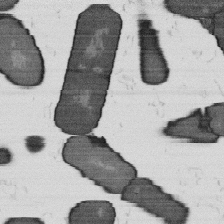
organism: B. subtilis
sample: Bacterial spore